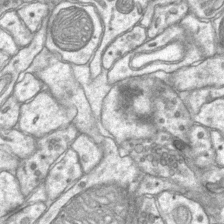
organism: Mouse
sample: CA1 Hippocampus